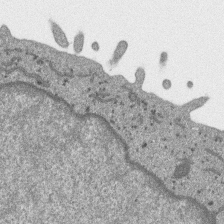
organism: Human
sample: Lung epithelial cells infected with SARS-CoV-2